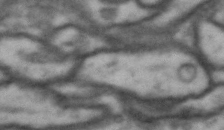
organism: Drosophila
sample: Brain